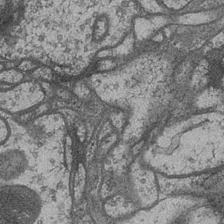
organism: Drosophila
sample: Optic medulla